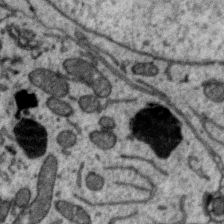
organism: Zebra finch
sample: Brain